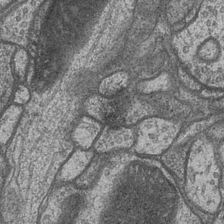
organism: Drosophila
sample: Optic medulla